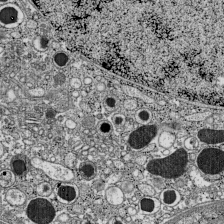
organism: C57BL Mouse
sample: Pancreatic islet